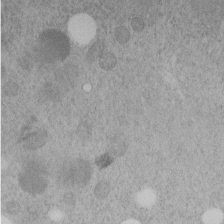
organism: C. elegans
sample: C. elegans embryo early stage